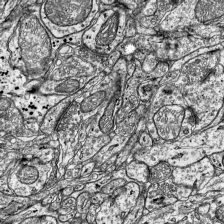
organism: Mouse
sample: Visual Cortex